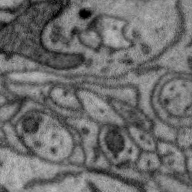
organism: Zebra finch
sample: Brain